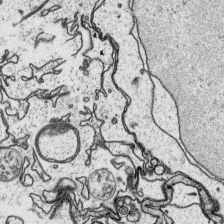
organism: Platynereis dumerilii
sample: Parapodia